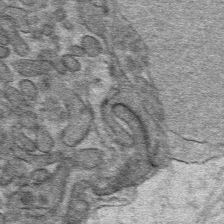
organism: Mouse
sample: Mouse hepatocytes